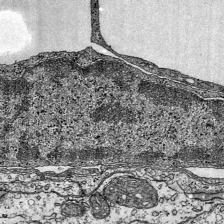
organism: Mouse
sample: Visual Cortex